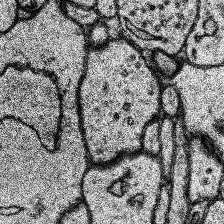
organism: Human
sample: Temporal Lobe